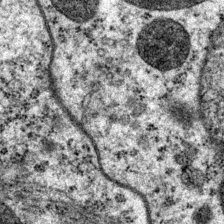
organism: P. pacificus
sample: Pharynx